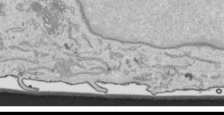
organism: Human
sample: Mitochondria in HCT116 cells